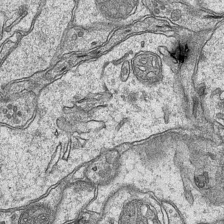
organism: Mouse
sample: CA1 Hippocampus